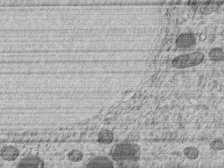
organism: C. elegans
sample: C. elegans embryo early stage